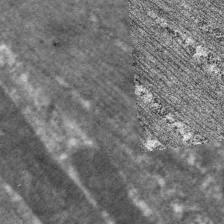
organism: C. elegans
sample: Pharynx